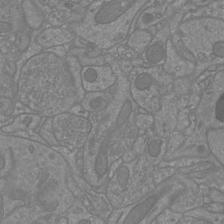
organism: Mouse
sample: Cortical neurons